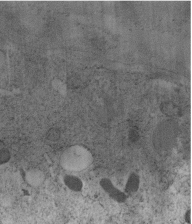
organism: C. elegans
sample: C. elegans embryo early stage